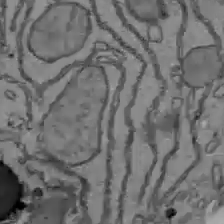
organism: C57BL Mouse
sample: Liver